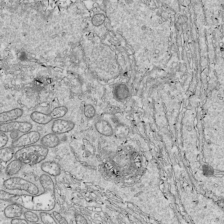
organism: Drosophila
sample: Cell division; meiosis; drosophila spermatocytes